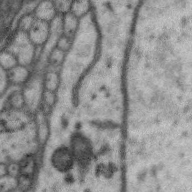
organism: Zebra finch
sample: Brain